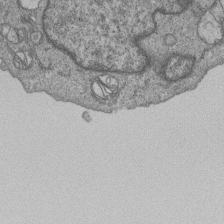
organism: Human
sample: MDA-MB-231 cells